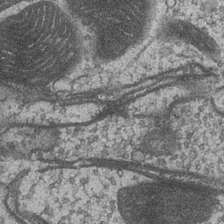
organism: Drosophila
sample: Optic medulla